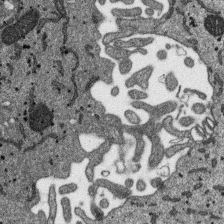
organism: Human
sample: Lung epithelial cells infected with SARS-CoV-2